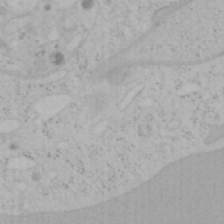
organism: Mouse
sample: OT-I killer T cells with ID8 ovarian cancer cells